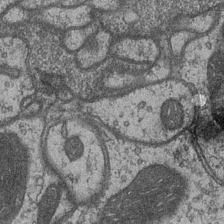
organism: Drosophila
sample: Optic medulla